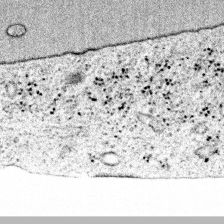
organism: Human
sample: HeLa cells